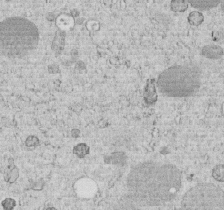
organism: C. elegans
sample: C. elegans embryo early stage